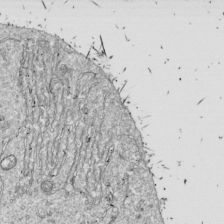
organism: Drosophila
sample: Cell division; meiosis; drosophila spermatocytes